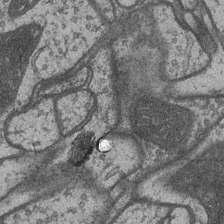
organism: Drosophila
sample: Optic medulla